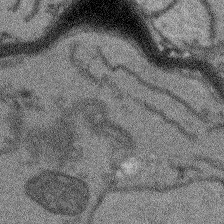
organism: Arabidopsis thaliana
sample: Root tip